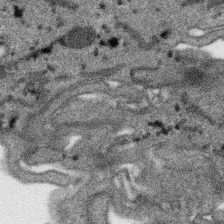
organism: Human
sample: Lung epithelial cells infected with SARS-CoV-2